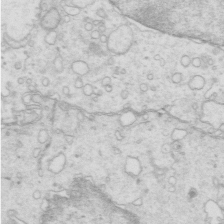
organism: Mouse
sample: Multiciliated cells